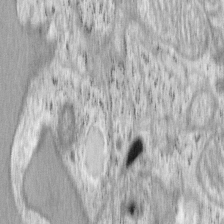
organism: Human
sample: HeLa cells